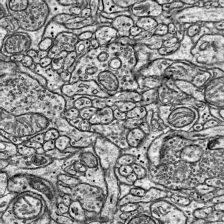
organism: Mouse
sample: Visual Cortex